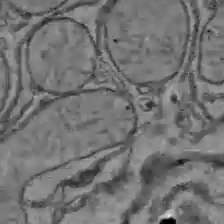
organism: C57BL Mouse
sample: Liver